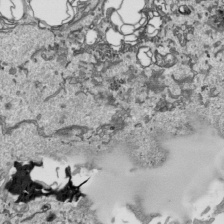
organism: Human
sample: Mitochondria in HCT116 cells